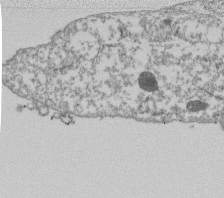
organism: Dictyostelium discoideum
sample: Dictyostelium multivesicular bodies